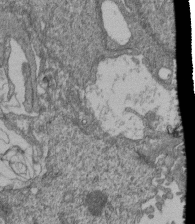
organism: Human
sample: Retinal organoid Rod and Cone cells